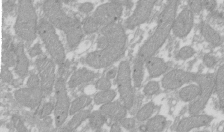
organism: Xenopus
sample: Cilia; centrioles in frog embryo cells